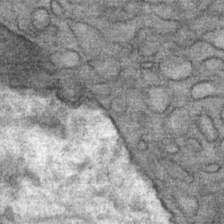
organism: Mouse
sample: Mouse Salivary gland